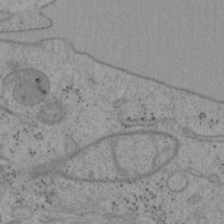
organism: Human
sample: HeLa cells